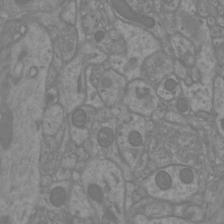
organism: Mouse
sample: Cortical neurons